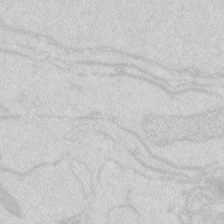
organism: Zebrafish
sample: Macrophage